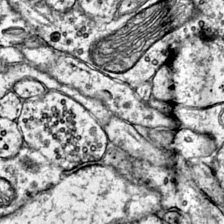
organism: Mouse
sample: Primary visual cortex